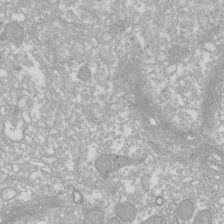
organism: Xenopus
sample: Cilia; centrioles in frog embryo cells